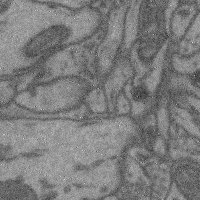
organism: Mouse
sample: Cerebral cortex